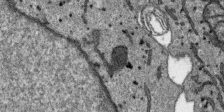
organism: Human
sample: Lung epithelial cells, uninfected (mock) control